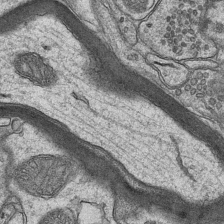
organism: Mouse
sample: CA1 Hippocampus